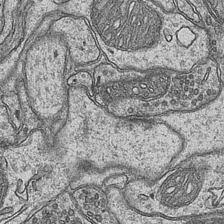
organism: Mouse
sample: CA1 Hippocampus